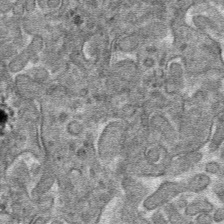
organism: Mouse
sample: Mouse hepatocytes